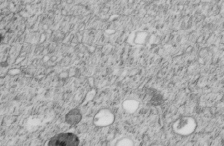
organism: C. elegans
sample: C. elegans embryo early stage